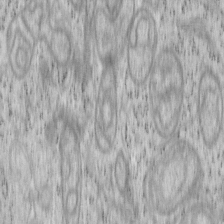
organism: Human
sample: HeLa cells